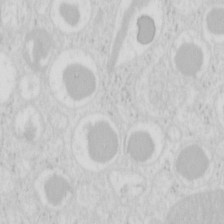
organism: Mouse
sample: Pancreas